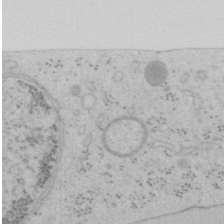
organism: Human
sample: HeLa cells